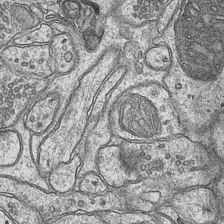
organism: Mouse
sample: CA1 Hippocampus